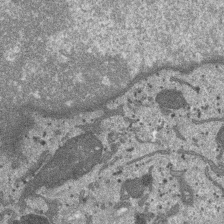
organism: Human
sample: Lung epithelial cells infected with SARS-CoV-2